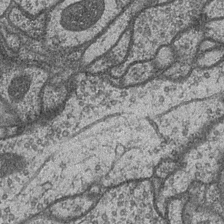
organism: Drosophila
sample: Optic medulla